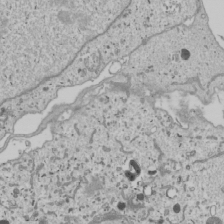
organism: Human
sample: Mitochondria in U2OS cells